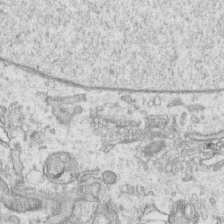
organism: Human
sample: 1205lu cells